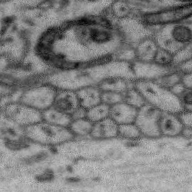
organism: Zebra finch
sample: Brain